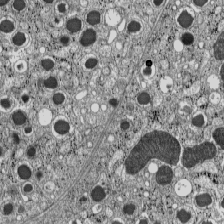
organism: C57BL Mouse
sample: Pancreatic islet